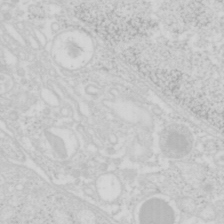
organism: Mouse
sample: Pancreas